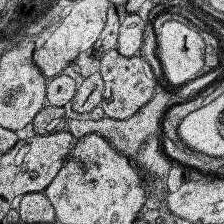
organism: Human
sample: Temporal Lobe